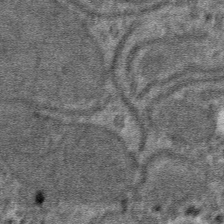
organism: Mouse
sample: Mouse hepatocytes